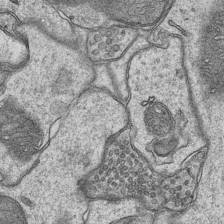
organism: Mouse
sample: CA1 Hippocampus